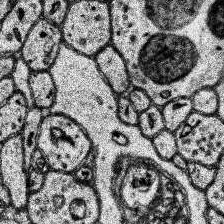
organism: Human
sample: Temporal Lobe